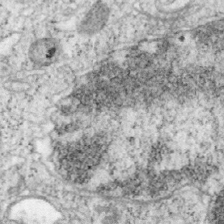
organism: Mouse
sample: OT-I killer T cells with ID8 ovarian cancer cells